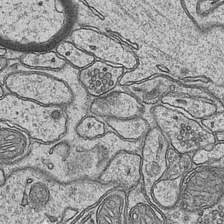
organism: Mouse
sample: CA1 Hippocampus